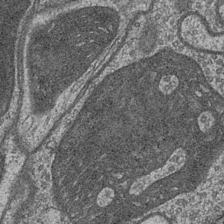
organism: Drosophila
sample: Optic medulla